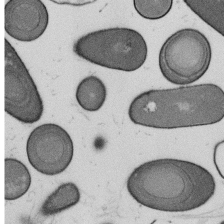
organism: B. subtilis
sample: Bacterial spore